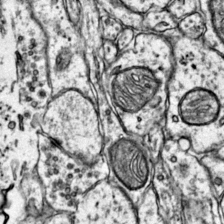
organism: Mouse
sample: Primary visual cortex